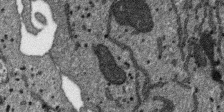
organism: Human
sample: Lung epithelial cells infected with SARS-CoV-2